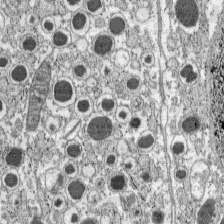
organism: C57BL Mouse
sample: Pancreatic islet